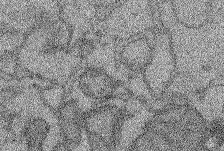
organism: Human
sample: HeLa cells